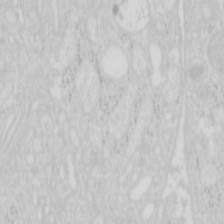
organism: Mouse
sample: Pancreas